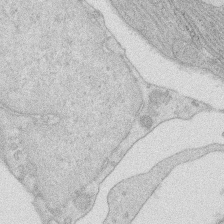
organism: Rat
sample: Salivary granule